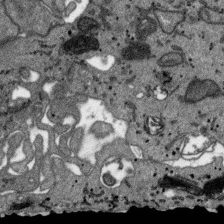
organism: Human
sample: Lung epithelial cells, uninfected (mock) control